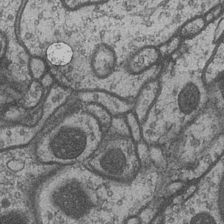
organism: Drosophila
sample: Optic medulla